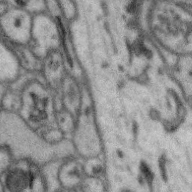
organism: Zebra finch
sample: Brain